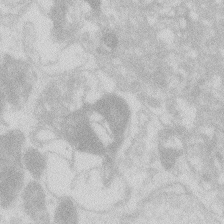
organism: Zebrafish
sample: Macrophage